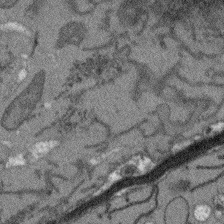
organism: Arabidopsis thaliana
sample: Root tip